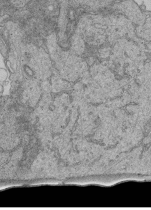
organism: Human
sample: Retinal organoid Rod and Cone cells